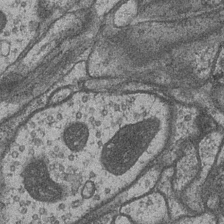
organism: Drosophila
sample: Optic medulla